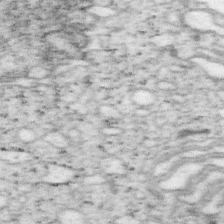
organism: Mouse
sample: OT-I killer T cells with ID8 ovarian cancer cells